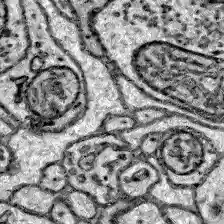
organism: Zebrafish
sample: Brain